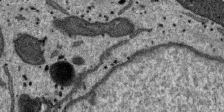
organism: Human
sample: Lung epithelial cells, uninfected (mock) control